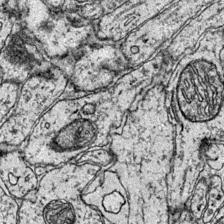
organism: Mouse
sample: Primary visual cortex